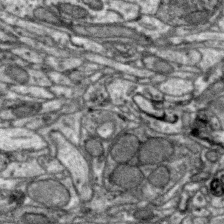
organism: Zebra finch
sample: Brain